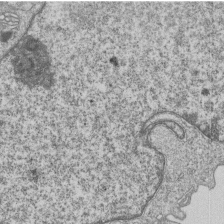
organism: Human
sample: MDA-MB-231 cells